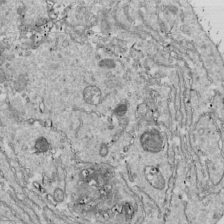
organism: Drosophila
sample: Cell division; meiosis; drosophila spermatocytes